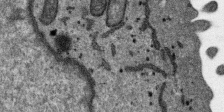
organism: Human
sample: Lung epithelial cells, uninfected (mock) control